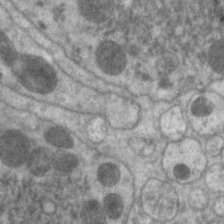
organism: C. elegans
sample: Pharynx